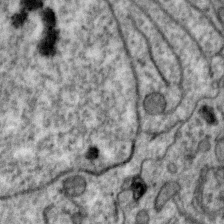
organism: Zebra finch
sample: Brain